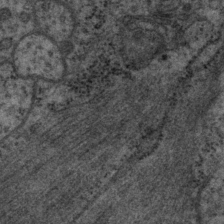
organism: P. pacificus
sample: Pharynx